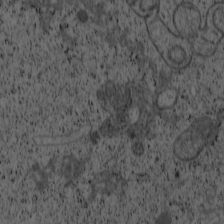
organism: African green monkey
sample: COS-7 cells